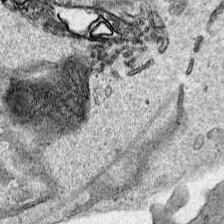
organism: Human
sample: Mitochondria in HCT116 cells